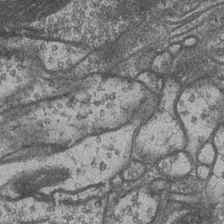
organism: Drosophila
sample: Optic medulla